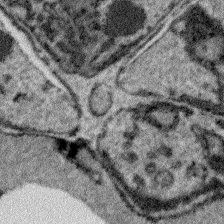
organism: Plasmodium falciparum